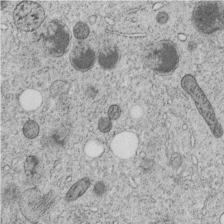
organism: C. elegans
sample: C. elegans embryo early stage